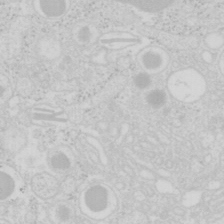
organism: Mouse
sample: Pancreas